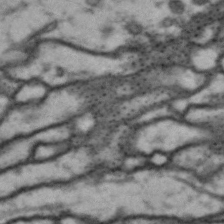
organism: Drosophila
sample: Brain